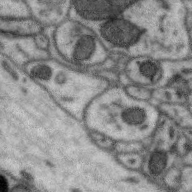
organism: Zebra finch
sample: Brain